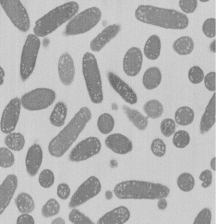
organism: E. coli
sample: Bacterial nucleoid